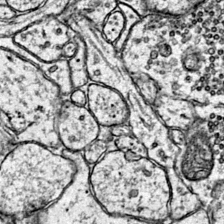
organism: Mouse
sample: Primary visual cortex